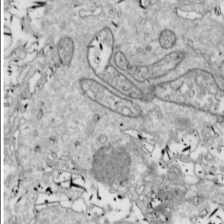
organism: Drosophila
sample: Cell division; meiosis; drosophila spermatocytes